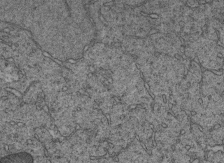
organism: C. elegans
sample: C. elegans embryo early stage